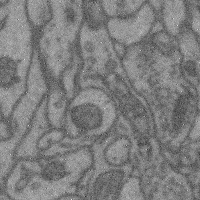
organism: Mouse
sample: Cerebral cortex